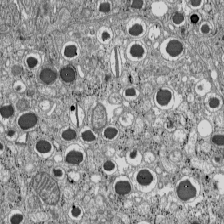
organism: C57BL Mouse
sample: Pancreatic islet